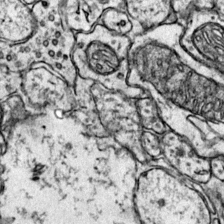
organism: Mouse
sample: Primary visual cortex